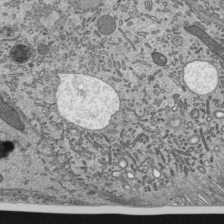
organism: Mouse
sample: Mouse epididymis efferent ductule cilia